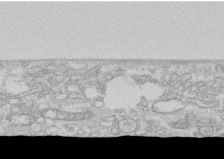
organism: Human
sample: CRL-1474